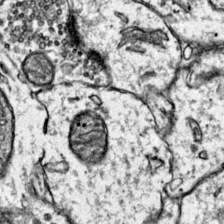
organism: Mouse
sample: Primary visual cortex